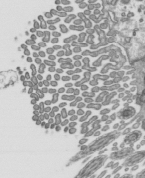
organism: Mouse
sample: Mouse epididymis efferent ductule cilia